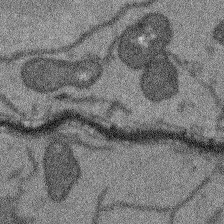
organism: Arabidopsis thaliana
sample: Root tip